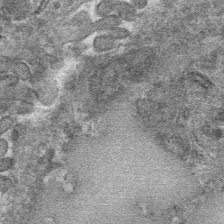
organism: Mouse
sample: Mouse hepatocytes